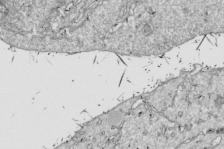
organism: Drosophila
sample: Cell division; meiosis; drosophila spermatocytes